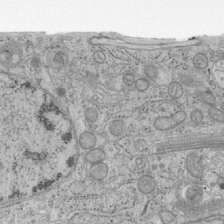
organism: Human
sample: HeLa cells